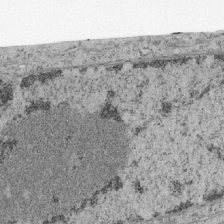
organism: Human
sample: HeLa cells